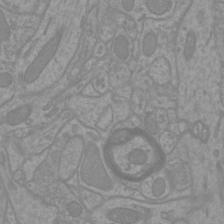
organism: Mouse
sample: Cortical neurons